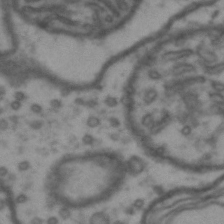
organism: Drosophila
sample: Brain